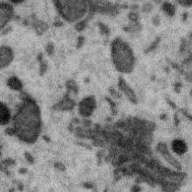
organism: Zebra finch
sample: Brain